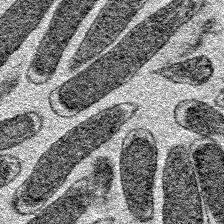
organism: E. coli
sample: E. Coli Bacteria